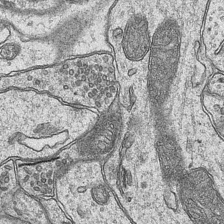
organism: Mouse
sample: CA1 Hippocampus